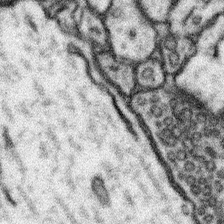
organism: Mouse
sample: Somatosensory cortex neuropil